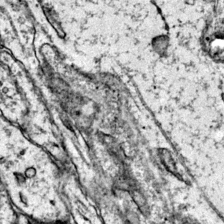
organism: Mouse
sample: Primary visual cortex